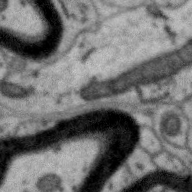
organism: Zebra finch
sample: Brain